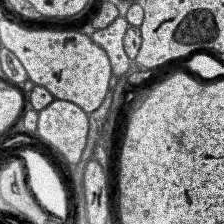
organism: Human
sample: Temporal Lobe